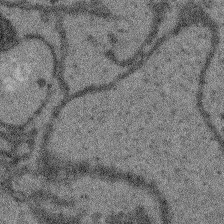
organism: Arabidopsis thaliana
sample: Root tip